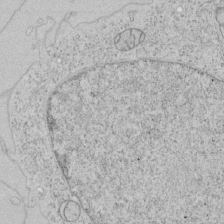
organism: Human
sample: Mitochondria in HCT116 cells